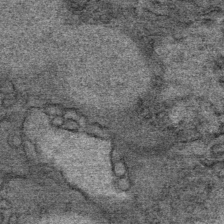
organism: Mouse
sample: Mouse Salivary gland